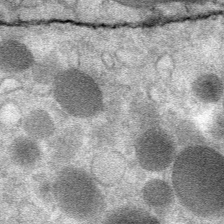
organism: Mouse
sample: Mouse Salivary gland